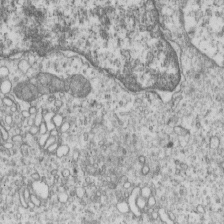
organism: Human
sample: MDA-MB-231 cells